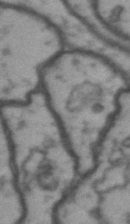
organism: Drosophila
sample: Brain